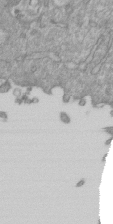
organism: Mouse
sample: ED-1 cell nuclei; centrioles